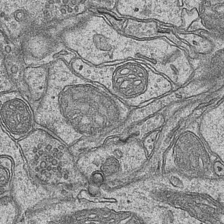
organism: Mouse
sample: CA1 Hippocampus